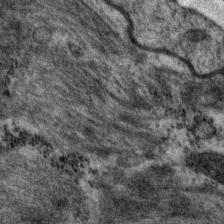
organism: P. pacificus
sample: Pharynx